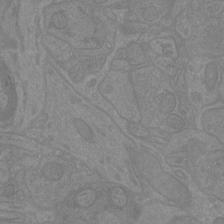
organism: Mouse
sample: Cortical neurons